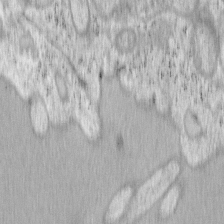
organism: Human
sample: HeLa cells